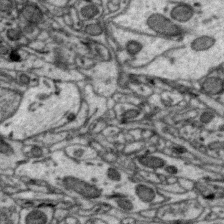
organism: Zebra finch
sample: Brain